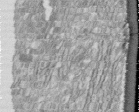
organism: Human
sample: Centriole in fibroblast cells